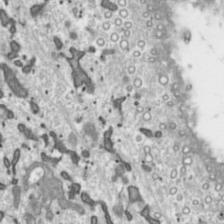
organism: Toxoplasma gondii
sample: Parasites in a vacuole inside a host cell